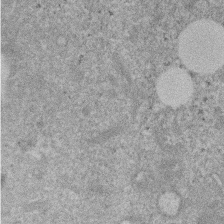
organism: Mouse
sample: Dividing mouse embryo 1 cell stage